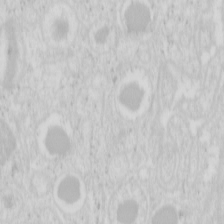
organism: Mouse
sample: Pancreas